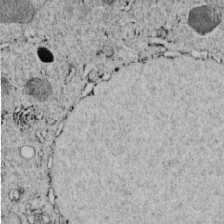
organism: C. elegans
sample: C. elegans embryo early stage